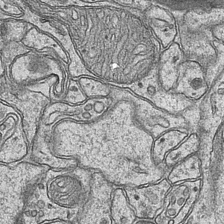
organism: Mouse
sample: CA1 Hippocampus